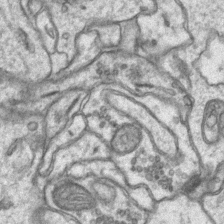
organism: Mouse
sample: CA1 Hippocampus